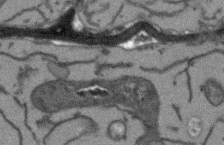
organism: Arabidopsis thaliana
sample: Root tip